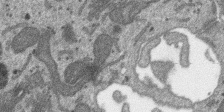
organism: Human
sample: Lung epithelial cells infected with SARS-CoV-2